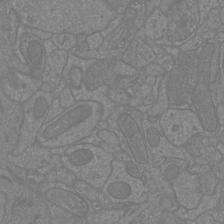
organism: Mouse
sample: Cortical neurons